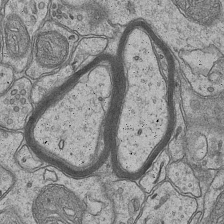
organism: Mouse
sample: CA1 Hippocampus